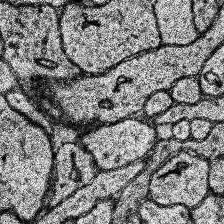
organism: Human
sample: Temporal Lobe